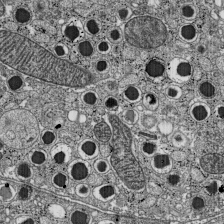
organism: C57BL Mouse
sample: Pancreatic islet